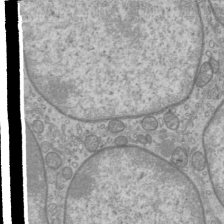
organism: Mouse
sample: Cilia; mouse epididymis